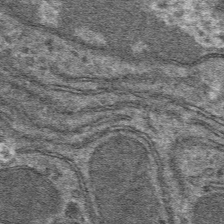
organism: Mouse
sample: Mouse hepatocytes